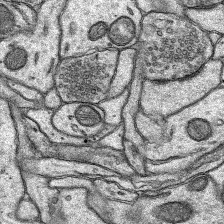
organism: Rat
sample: Hippocampus